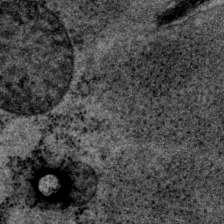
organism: P. pacificus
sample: Pharynx